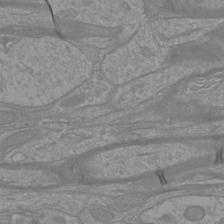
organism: Mouse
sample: Cortical neurons